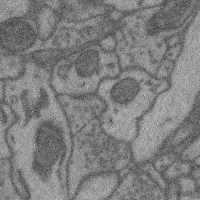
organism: Mouse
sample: Cerebral cortex